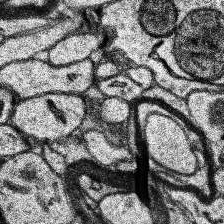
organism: Human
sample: Temporal Lobe